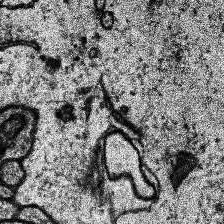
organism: Human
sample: Temporal Lobe